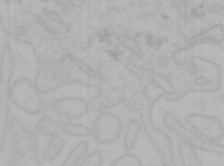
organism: Mouse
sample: Choroid plexus